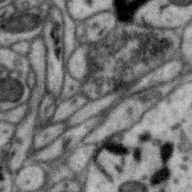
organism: Zebra finch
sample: Brain